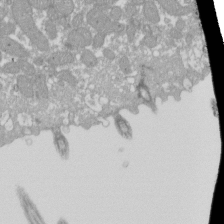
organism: Xenopus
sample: Cilia; centrioles in frog embryo cells